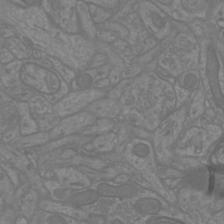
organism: Mouse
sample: Cortical neurons